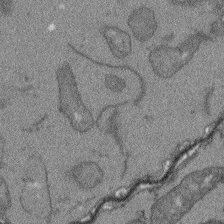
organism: Arabidopsis thaliana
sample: Root tip